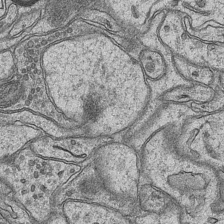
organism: Mouse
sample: CA1 Hippocampus